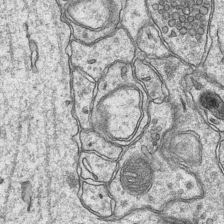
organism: Mouse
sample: CA1 Hippocampus